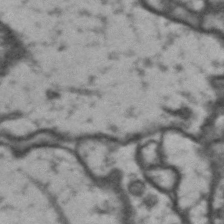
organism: Drosophila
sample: Brain